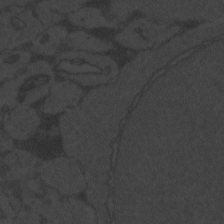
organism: Zebrafish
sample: Macrophage infected with Toxoplasma gondii